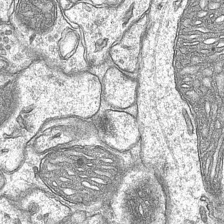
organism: Mouse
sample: CA1 Hippocampus